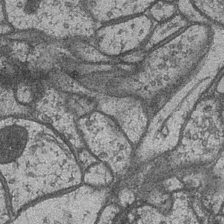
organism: Drosophila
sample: Optic medulla